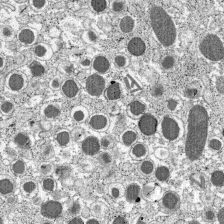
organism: C57BL Mouse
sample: Pancreatic islet